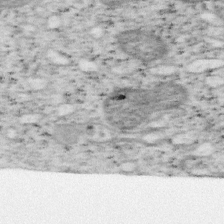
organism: Mouse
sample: OT-I killer T cells with ID8 ovarian cancer cells